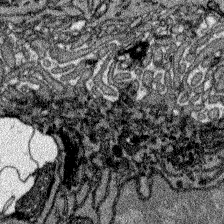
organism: Zebrafish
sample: Larval olfactory bulb